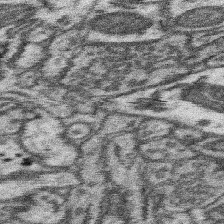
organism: Mouse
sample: Somatosensory cortex neuropil